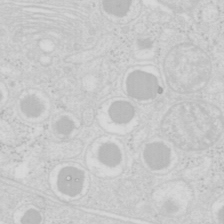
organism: Mouse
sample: Pancreas